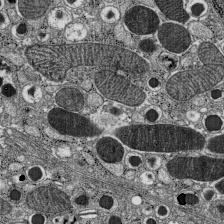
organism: C57BL Mouse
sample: Pancreatic islet